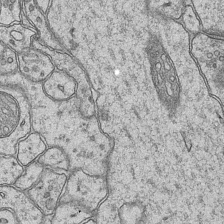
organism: Mouse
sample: CA1 Hippocampus